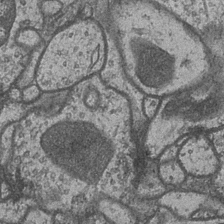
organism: Drosophila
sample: Optic medulla